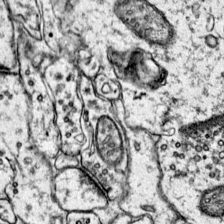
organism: Mouse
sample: Primary visual cortex